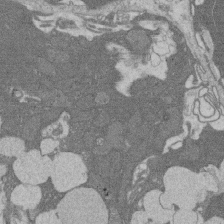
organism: Rat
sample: Salivary granule